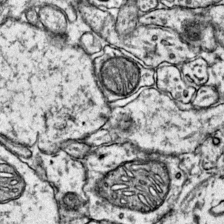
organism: Mouse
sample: Primary visual cortex